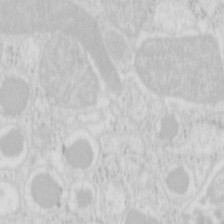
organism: Mouse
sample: Pancreas